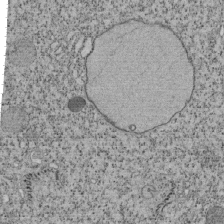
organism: Tetrahymena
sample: Cilia in tetrahymena